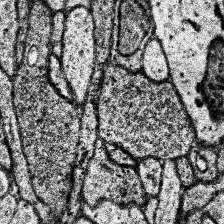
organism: Human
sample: Temporal Lobe